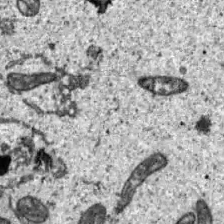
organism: Human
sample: HeLa cells